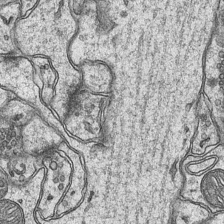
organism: Mouse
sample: CA1 Hippocampus